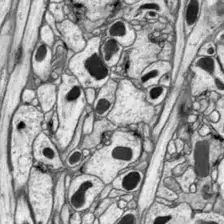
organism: Drosophila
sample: Optic lobe